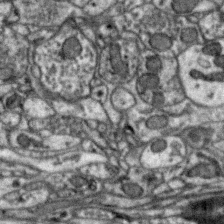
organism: Zebra finch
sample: Brain